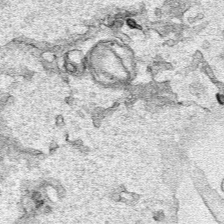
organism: Human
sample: Mitochondria in HCT116 cells